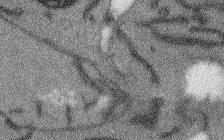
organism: Arabidopsis thaliana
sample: Root tip